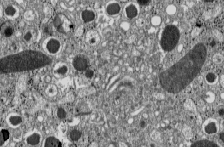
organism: C57BL Mouse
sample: Pancreatic islet